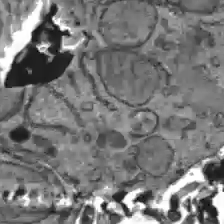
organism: C57BL Mouse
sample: Liver